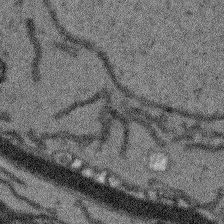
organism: Arabidopsis thaliana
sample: Root tip